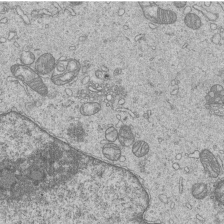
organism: Human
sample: MDA-MB-231 cells